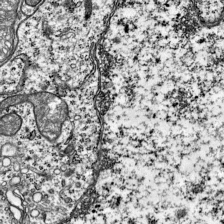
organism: Mouse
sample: Visual Cortex